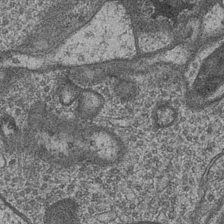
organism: Drosophila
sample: Optic medulla